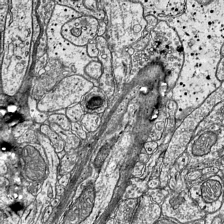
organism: Mouse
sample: Visual Cortex